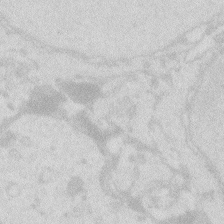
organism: Zebrafish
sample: Macrophage